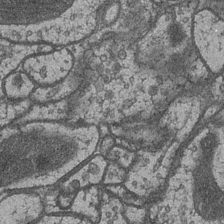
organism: Drosophila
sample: Optic medulla